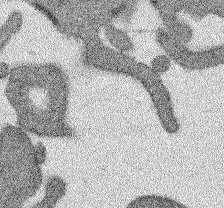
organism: Human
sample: HeLa cells